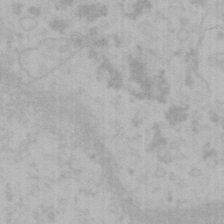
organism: Mouse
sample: Choroid plexus